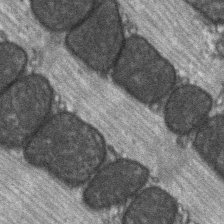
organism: C57BL Mouse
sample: Soleus